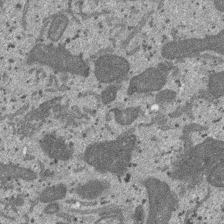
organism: Human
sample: Lung epithelial cells infected with SARS-CoV-2